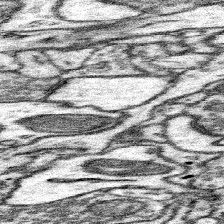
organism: Mouse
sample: Somatosensory cortex neuropil